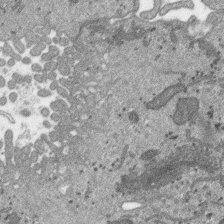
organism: Human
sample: Lung epithelial cells infected with SARS-CoV-2